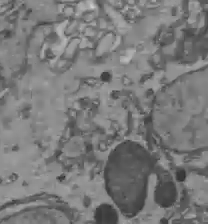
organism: C57BL Mouse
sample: Liver